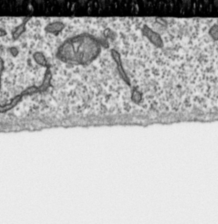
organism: Toxoplasma gondii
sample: Parasites in a vacuole inside a host cell